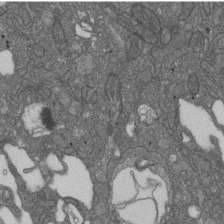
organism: Drosophila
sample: Nephrocyte